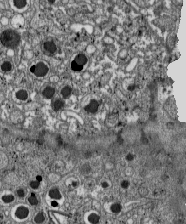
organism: C57BL Mouse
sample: Pancreatic islet